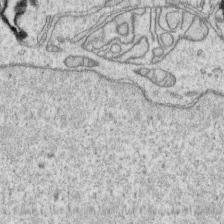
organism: Human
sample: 1205lu cells